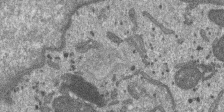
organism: Human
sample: Lung epithelial cells infected with SARS-CoV-2